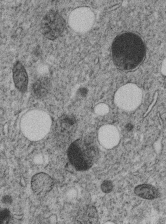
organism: C. elegans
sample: C. elegans embryo early stage